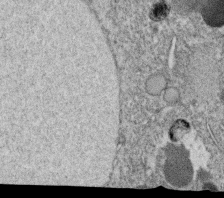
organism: C. elegans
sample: C. elegans oocyte; sperm cells